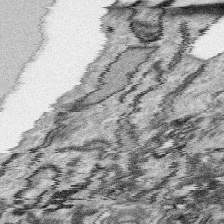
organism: Human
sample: HeLa cells